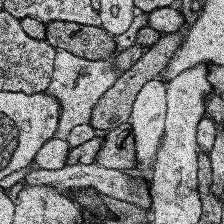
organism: Human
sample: Temporal Lobe